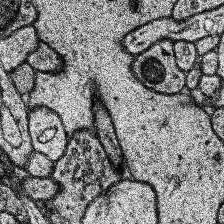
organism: Human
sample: Temporal Lobe